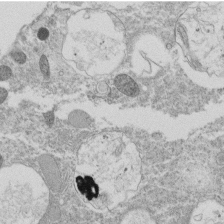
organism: Tetrahymena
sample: Cilia in tetrahymena